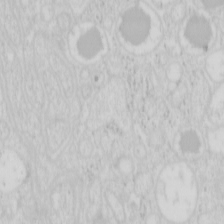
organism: Mouse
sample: Pancreas